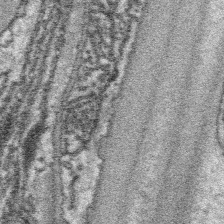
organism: Platynereis dumerilii